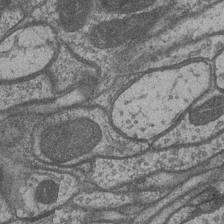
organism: Drosophila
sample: Optic medulla